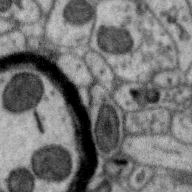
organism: Zebra finch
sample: Brain